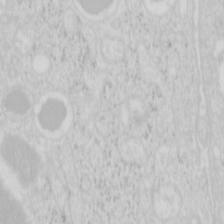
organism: Mouse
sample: Pancreas